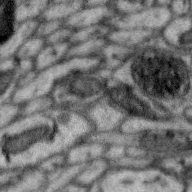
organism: Zebra finch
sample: Brain